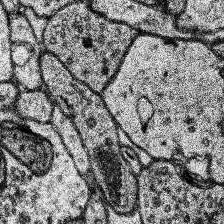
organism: Human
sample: Temporal Lobe